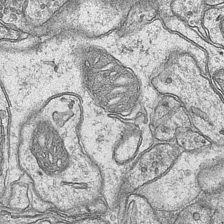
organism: Mouse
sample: CA1 Hippocampus